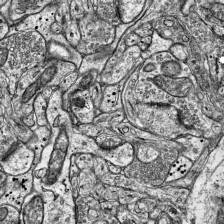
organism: Mouse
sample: Visual Cortex